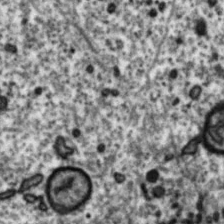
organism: Human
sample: HeLa cells